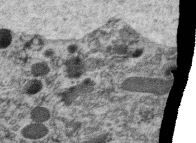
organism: C. elegans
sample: C. elegans oocyte; sperm cells